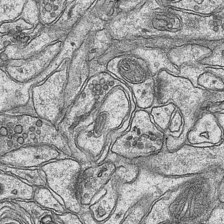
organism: Mouse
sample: CA1 Hippocampus